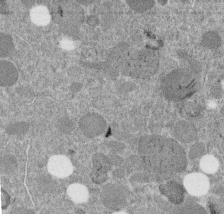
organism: C. elegans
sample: C. elegans embryo early stage